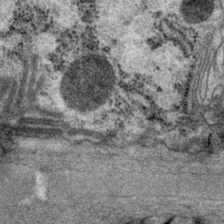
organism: P. pacificus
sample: Pharynx